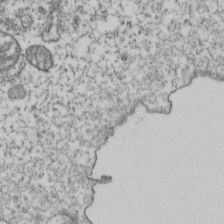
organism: Human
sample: Activated Jurkat CD4+ T cells